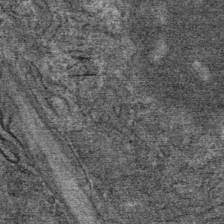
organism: Mouse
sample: Mouse Salivary gland